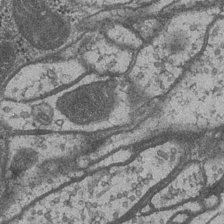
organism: Drosophila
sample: Optic medulla